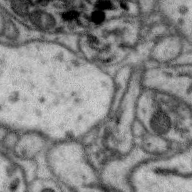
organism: Zebra finch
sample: Brain